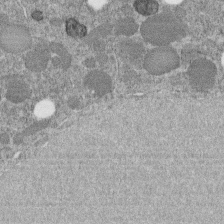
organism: C. elegans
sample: C. elegans embryo early stage